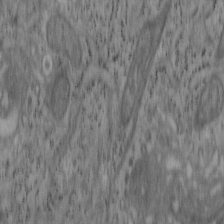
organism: Human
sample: HeLa cells